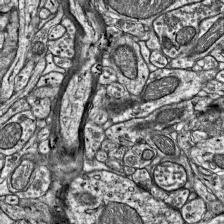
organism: Mouse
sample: Visual Cortex